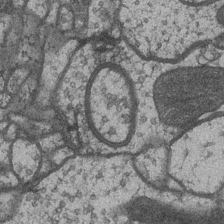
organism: Drosophila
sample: Optic medulla